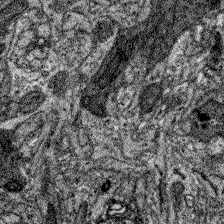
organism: Zebrafish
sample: Larval olfactory bulb